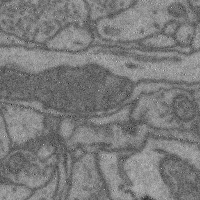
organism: Mouse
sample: Cerebral cortex